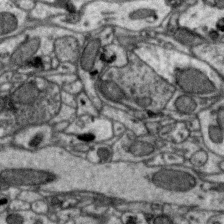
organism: Zebra finch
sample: Brain